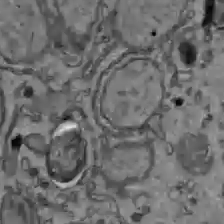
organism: C57BL Mouse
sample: Liver